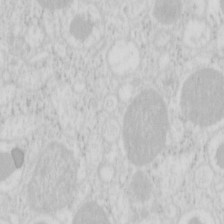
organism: Mouse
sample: Pancreas